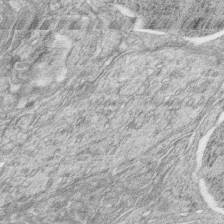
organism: Zebrafish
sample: synaptic ribbons in rod cells and cone cells